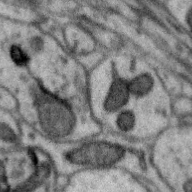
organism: Zebra finch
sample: Brain